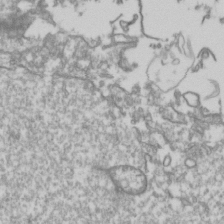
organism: Drosophila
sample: Cell division; meiosis; drosophila spermatocytes